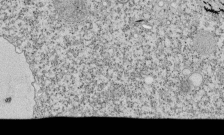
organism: Tetrahymena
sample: Cilia in tetrahymena